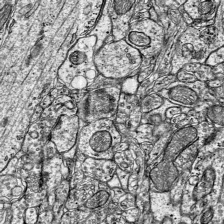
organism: Mouse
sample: Visual Cortex